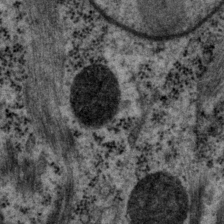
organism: P. pacificus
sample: Pharynx